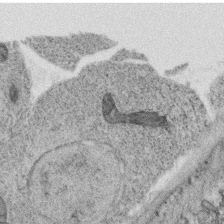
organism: C. elegans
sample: C. elegans oocyte; sperm cells